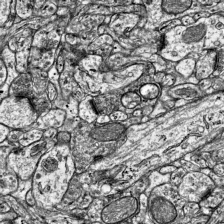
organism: Mouse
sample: Visual Cortex